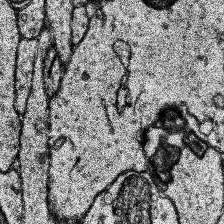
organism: Human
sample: Temporal Lobe